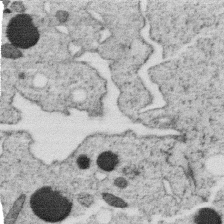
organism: C. elegans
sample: C. elegans oocyte; sperm cells